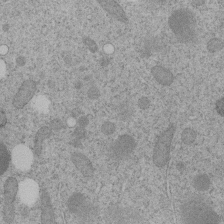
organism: C. elegans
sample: C. elegans embryo early stage